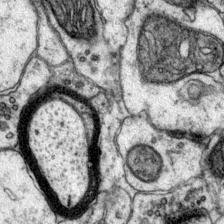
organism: Mouse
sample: Primary visual cortex